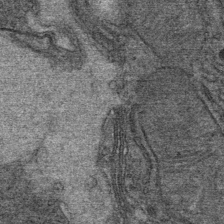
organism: Mouse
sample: Mouse Salivary gland